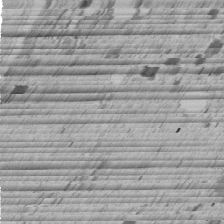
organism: C. elegans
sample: C. elegans embryo early stage